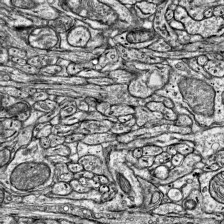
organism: Mouse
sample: Visual Cortex